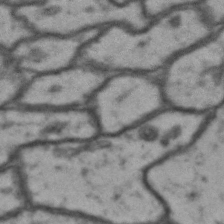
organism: Drosophila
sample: Brain